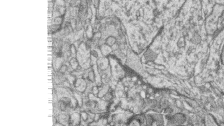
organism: Zebrafish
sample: synaptic ribbons in rod cells and cone cells